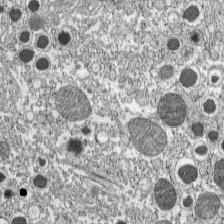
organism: C57BL Mouse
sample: Pancreatic islet